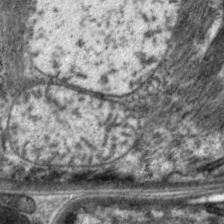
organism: C. elegans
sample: Pharynx